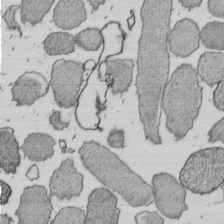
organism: E. coli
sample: Bacterial nucleoid